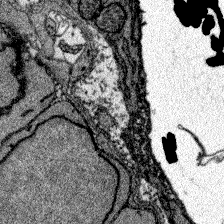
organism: Zebrafish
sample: Larval olfactory bulb